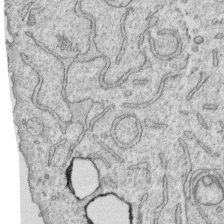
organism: Human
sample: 1205lu cells